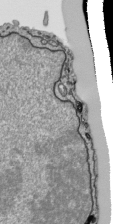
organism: Human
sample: Mitochondria in HCT116 cells